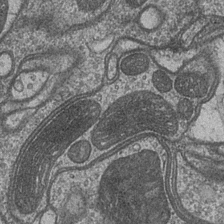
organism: Drosophila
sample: Optic medulla